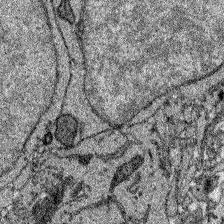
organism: Zebrafish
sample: Larval olfactory bulb